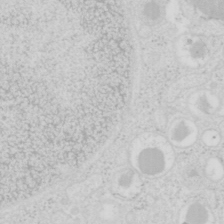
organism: Mouse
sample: Pancreas